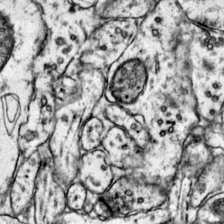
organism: Mouse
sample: Primary visual cortex